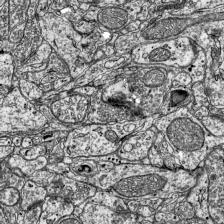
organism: Mouse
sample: Visual Cortex